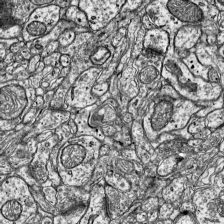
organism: Mouse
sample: Visual Cortex